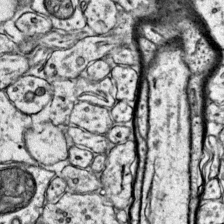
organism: Mouse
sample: Primary visual cortex